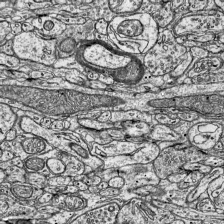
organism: Mouse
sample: Visual Cortex